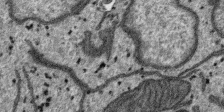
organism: Human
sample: Lung epithelial cells, uninfected (mock) control